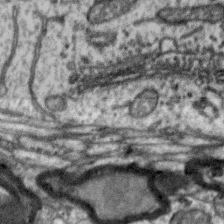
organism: Zebra finch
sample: Brain